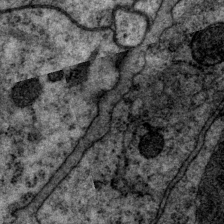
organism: P. pacificus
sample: Pharynx